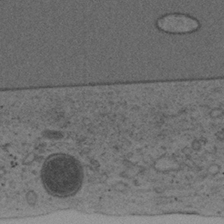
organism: Human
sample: HeLa cells